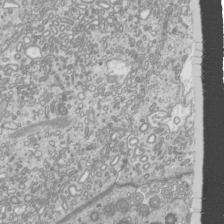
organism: Mouse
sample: Cilia; mouse epididymis